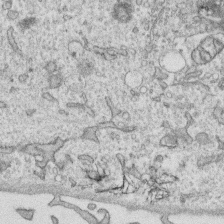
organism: Human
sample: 1205lu cells